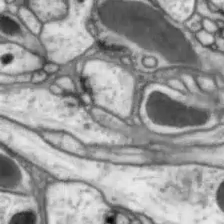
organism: Drosophila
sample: Optic lobe